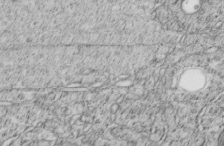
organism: C. elegans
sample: C. elegans embryo early stage